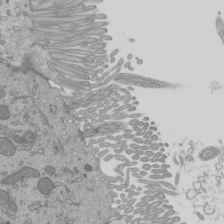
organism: Mouse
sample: Cilia; mouse epididymis